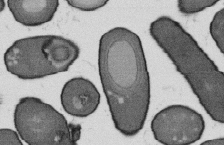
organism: B. subtilis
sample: Bacterial spore